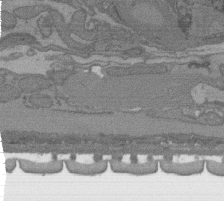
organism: C. elegans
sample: AFD neurons C. elegans